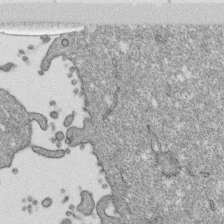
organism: African green monkey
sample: Vero E6 cells infected with SARS-CoV-2